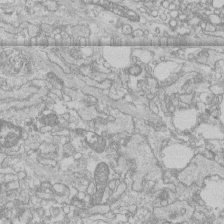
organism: Human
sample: CRL-1474